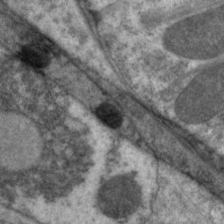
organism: C. elegans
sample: Pharynx